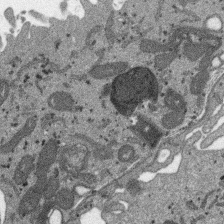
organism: Human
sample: Lung epithelial cells infected with SARS-CoV-2